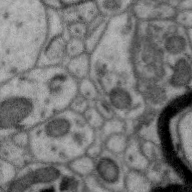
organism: Zebra finch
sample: Brain